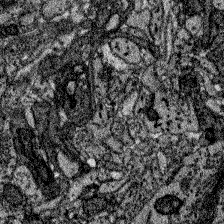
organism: Zebrafish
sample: Larval olfactory bulb